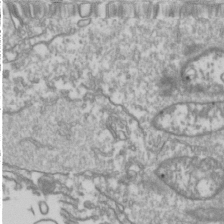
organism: Drosophila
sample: Cell division; meiosis; drosophila spermatocytes